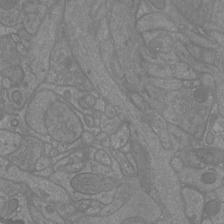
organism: Mouse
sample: Cortical neurons